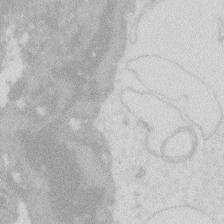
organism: Zebrafish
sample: Macrophage